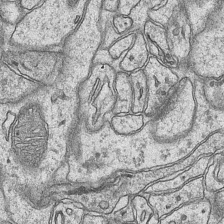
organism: Mouse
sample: CA1 Hippocampus